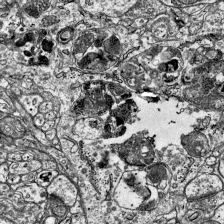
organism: Mouse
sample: Visual Cortex